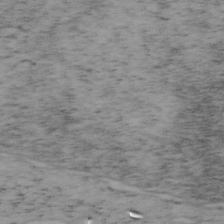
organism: Mouse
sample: OT-I killer T cells with ID8 ovarian cancer cells